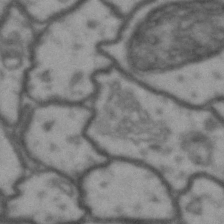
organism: Drosophila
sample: Brain